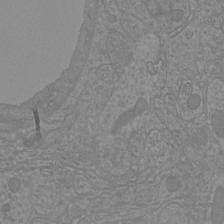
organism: Mouse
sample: Cortical neurons